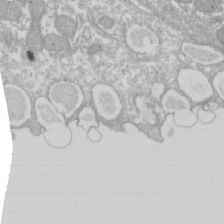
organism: Xenopus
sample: Cilia; centrioles in frog embryo cells